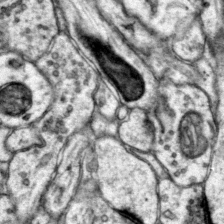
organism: Mouse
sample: Primary visual cortex